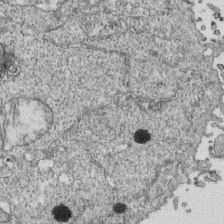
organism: Human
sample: HeLa cell HIV synapse